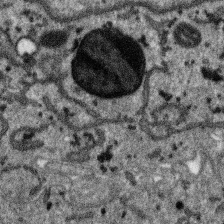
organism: Human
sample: Lung epithelial cells infected with SARS-CoV-2